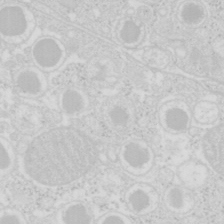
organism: Mouse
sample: Pancreas